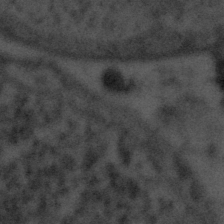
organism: Tuwongella immobilis